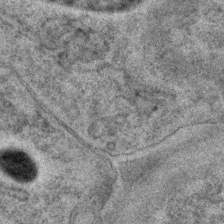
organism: C. elegans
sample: C. elegans embryo